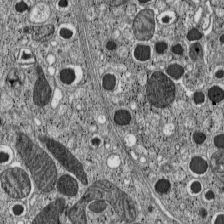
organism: C57BL Mouse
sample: Pancreatic islet